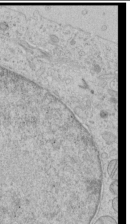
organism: Human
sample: Mitochondria in HCT116 cells